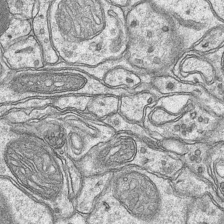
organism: Mouse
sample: CA1 Hippocampus